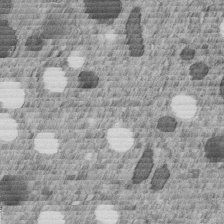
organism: C. elegans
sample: C. elegans embryo early stage